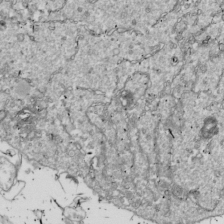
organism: Drosophila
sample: Cell division; meiosis; drosophila spermatocytes